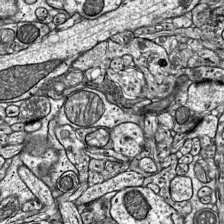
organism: Mouse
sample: Visual Cortex